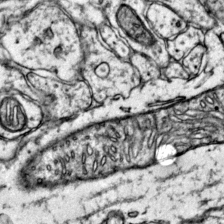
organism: Mouse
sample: Primary visual cortex